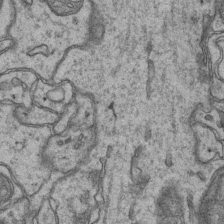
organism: Mouse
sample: CA1 Hippocampus